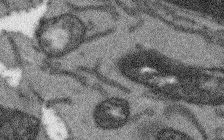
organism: Arabidopsis thaliana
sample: Root tip